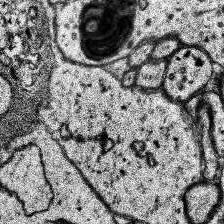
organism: Human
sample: Temporal Lobe